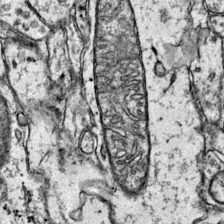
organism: Mouse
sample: Primary visual cortex